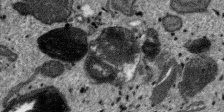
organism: Human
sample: Lung epithelial cells, uninfected (mock) control